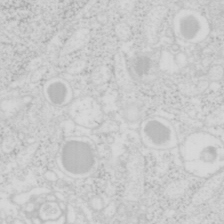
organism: Mouse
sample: Pancreas